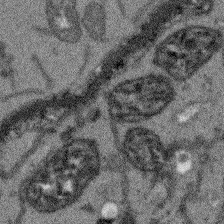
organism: Arabidopsis thaliana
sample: Root tip